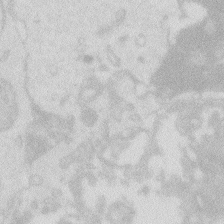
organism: Zebrafish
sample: Macrophage